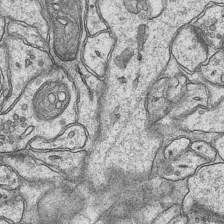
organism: Mouse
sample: CA1 Hippocampus